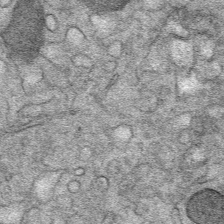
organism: Mouse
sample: Mouse Salivary gland